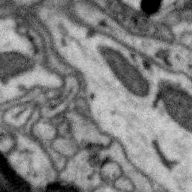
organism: Zebra finch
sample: Brain